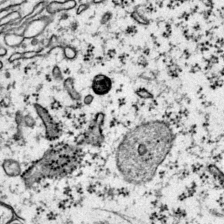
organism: Mouse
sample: Primary visual cortex